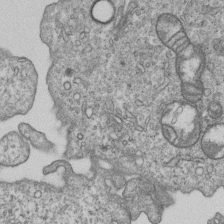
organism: Human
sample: MDA-MB-231 cells